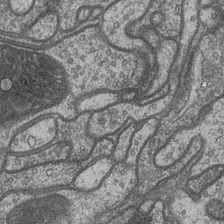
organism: Drosophila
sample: Optic medulla